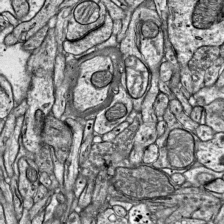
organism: Mouse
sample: Visual Cortex